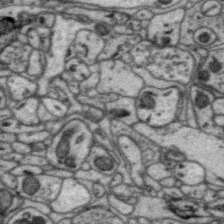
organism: Zebra finch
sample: Brain